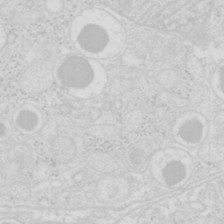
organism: Mouse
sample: Pancreas